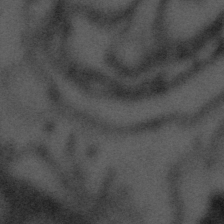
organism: Tuwongella immobilis